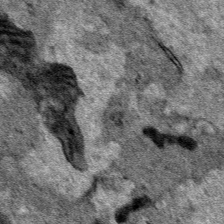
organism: Human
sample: Mitochondria in HCT116 cells